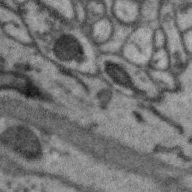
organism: Zebra finch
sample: Brain